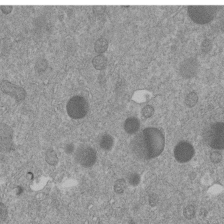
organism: C. elegans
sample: C. elegans embryo early stage